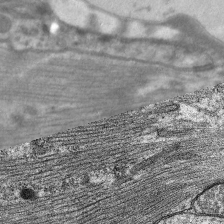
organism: C. elegans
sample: Pharynx